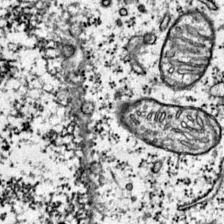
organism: Mouse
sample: Primary visual cortex